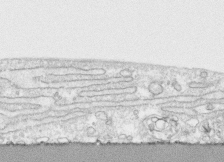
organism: Human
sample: CRL-1474